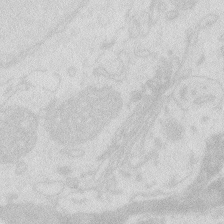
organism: Zebrafish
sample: Macrophage